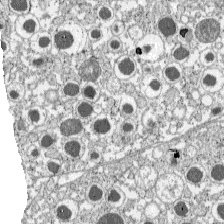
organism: C57BL Mouse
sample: Pancreatic islet